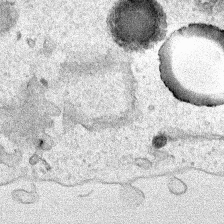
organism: Human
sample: Mitochondria in HCT116 cells